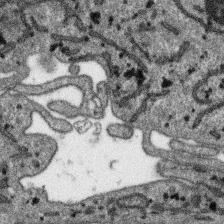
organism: Human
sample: Lung epithelial cells infected with SARS-CoV-2